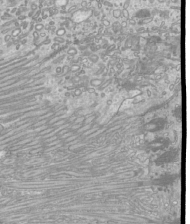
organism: Mouse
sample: Cilia; mouse epididymis